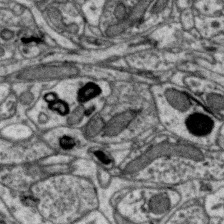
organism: Zebra finch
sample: Brain